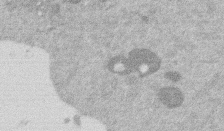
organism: Mouse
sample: Dividing mouse embryo 1 cell stage